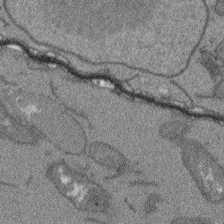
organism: Arabidopsis thaliana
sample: Root tip